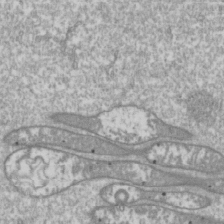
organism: Drosophila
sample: Cell division; meiosis; drosophila spermatocytes